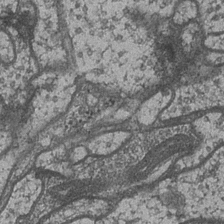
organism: Drosophila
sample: Optic medulla